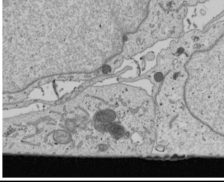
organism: Human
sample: Mitochondria in U2OS cells